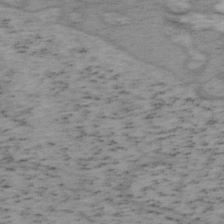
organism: Mouse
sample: OT-I killer T cells with ID8 ovarian cancer cells